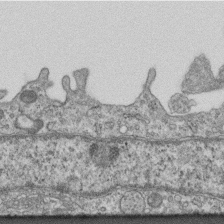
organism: Mouse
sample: Centriole in ependymal cells